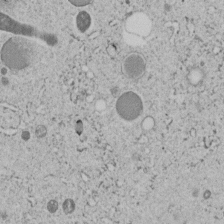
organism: C. elegans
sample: C. elegans embryo early stage